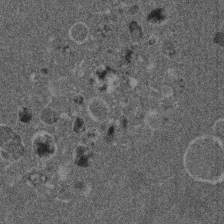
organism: Mouse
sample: Dividing mouse embryo 1 cell stage